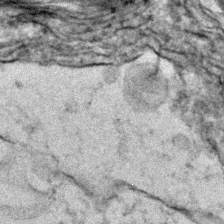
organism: Zebrafish